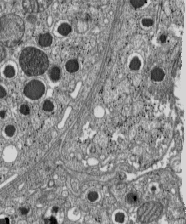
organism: C57BL Mouse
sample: Pancreatic islet